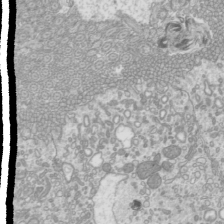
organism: Mouse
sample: Cilia; mouse epididymis